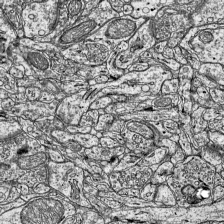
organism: Mouse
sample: Visual Cortex